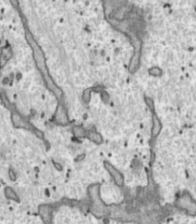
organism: Toxoplasma gondii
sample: Parasites in a vacuole inside a host cell